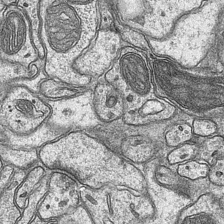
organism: Mouse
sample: CA1 Hippocampus